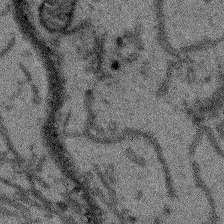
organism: Arabidopsis thaliana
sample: Root tip